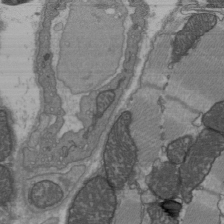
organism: C57BL Mouse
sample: Heart